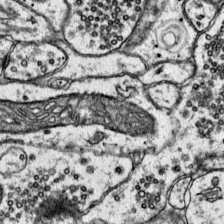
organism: Mouse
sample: Primary visual cortex